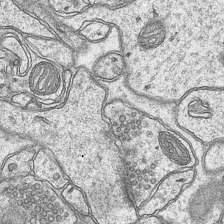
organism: Mouse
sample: CA1 Hippocampus